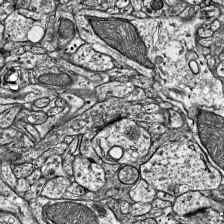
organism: Mouse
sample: Visual Cortex